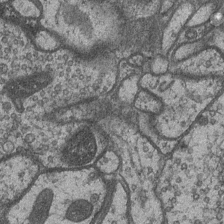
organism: Drosophila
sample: Optic medulla